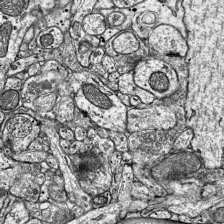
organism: Mouse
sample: Visual Cortex